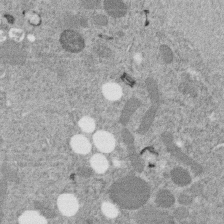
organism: C. elegans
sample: C. elegans embryo early stage